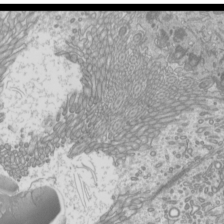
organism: Mouse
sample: Cilia; mouse epididymis